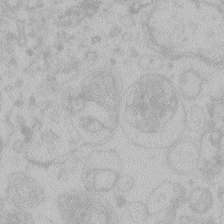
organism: Zebrafish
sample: Macrophage infected with Toxoplasma gondii